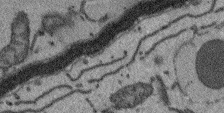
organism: Arabidopsis thaliana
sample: Root tip